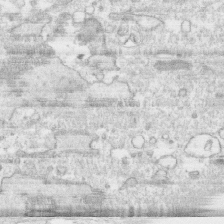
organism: Human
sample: CRL-1474